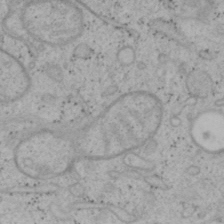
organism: Human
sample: HeLa cells